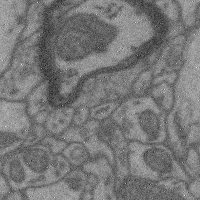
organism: Mouse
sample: Cerebral cortex